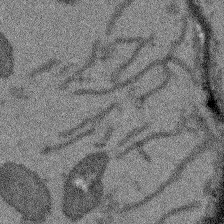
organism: Arabidopsis thaliana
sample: Root tip